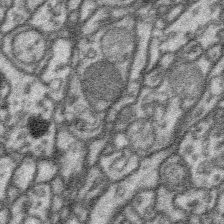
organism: Platynereis dumerilii